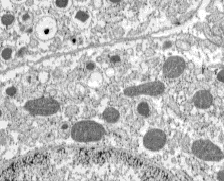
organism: C57BL Mouse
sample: Pancreatic islet